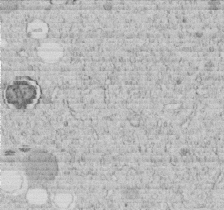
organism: C. elegans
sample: C. elegans embryo early stage